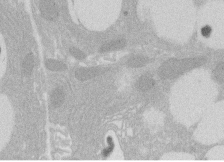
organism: Rat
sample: Salivary granule